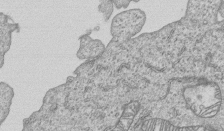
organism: Human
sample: MDA-MB-231 cells